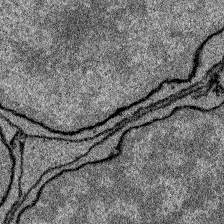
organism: Zebrafish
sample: Larval olfactory bulb